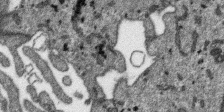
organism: Human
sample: Lung epithelial cells infected with SARS-CoV-2